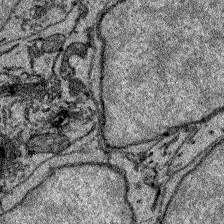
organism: Zebrafish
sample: Larval olfactory bulb